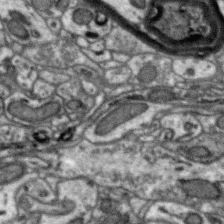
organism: Zebra finch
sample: Brain